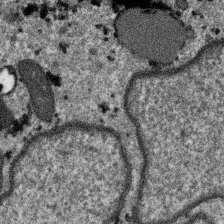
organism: Human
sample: Lung epithelial cells infected with SARS-CoV-2